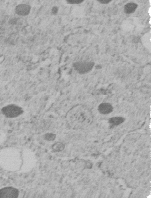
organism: C. elegans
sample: C. elegans embryo early stage